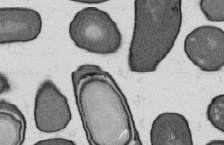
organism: B. subtilis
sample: Bacterial spore